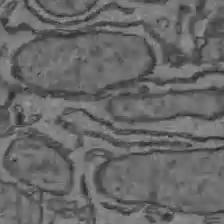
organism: C57BL Mouse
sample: Liver